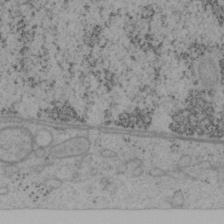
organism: Human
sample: HeLa cells